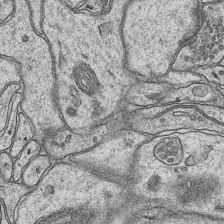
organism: Mouse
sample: CA1 Hippocampus